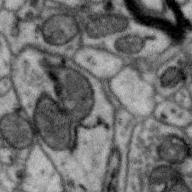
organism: Zebra finch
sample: Brain